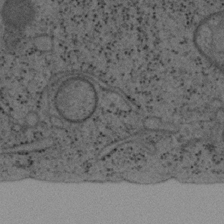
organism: Human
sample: HeLa cells